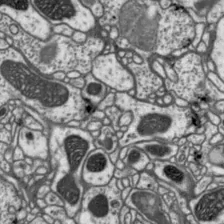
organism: Drosophila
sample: Protocerebral bridge